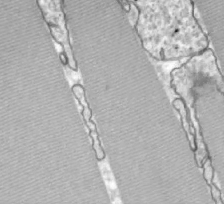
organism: Zebrafish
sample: Actinotrichia fibers